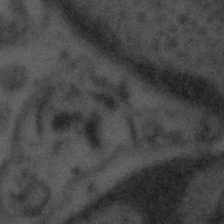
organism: Tuwongella immobilis